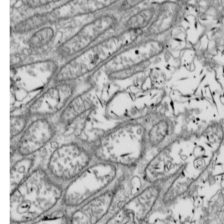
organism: Drosophila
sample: Cell division; meiosis; drosophila spermatocytes